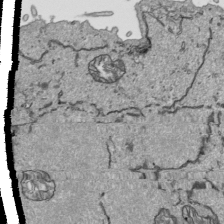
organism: Human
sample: Mitochondria in HCT116 cells